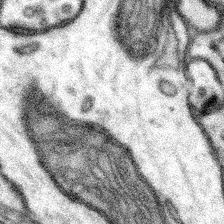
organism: Mouse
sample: Somatosensory cortex neuropil